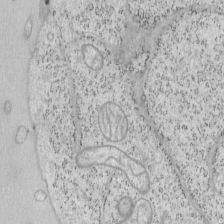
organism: Mouse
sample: OT-I killer T cells with ID8 ovarian cancer cells